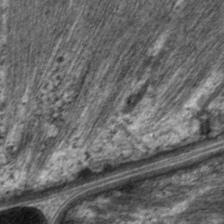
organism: C. elegans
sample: Pharynx